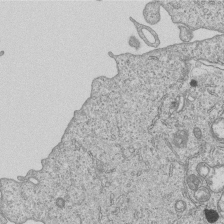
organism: Human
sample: MDA-MB-231 cells